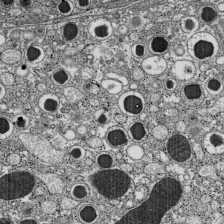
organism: C57BL Mouse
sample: Pancreatic islet